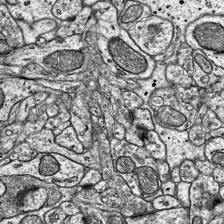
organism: Mouse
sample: Visual Cortex